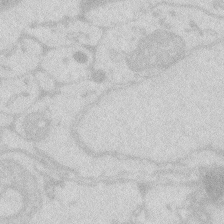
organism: Zebrafish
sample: Macrophage